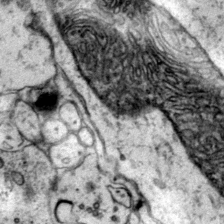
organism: Mouse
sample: Primary visual cortex